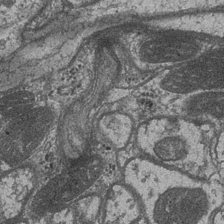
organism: Drosophila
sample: Optic medulla